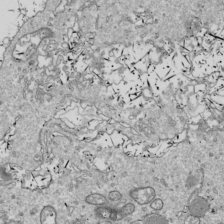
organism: Drosophila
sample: Cell division; meiosis; drosophila spermatocytes